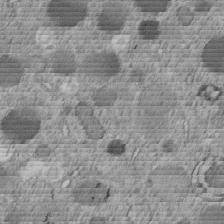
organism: C. elegans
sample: C. elegans embryo early stage